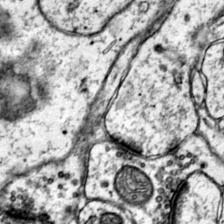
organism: Mouse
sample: Primary visual cortex